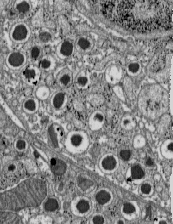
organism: C57BL Mouse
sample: Pancreatic islet